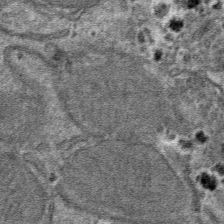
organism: Mouse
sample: Mouse hepatocytes